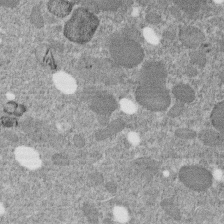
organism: C. elegans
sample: C. elegans embryo early stage